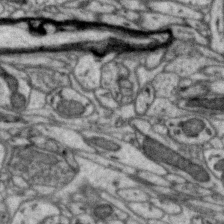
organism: Zebra finch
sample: Brain